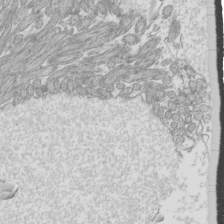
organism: Mouse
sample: Cilia; mouse epididymis